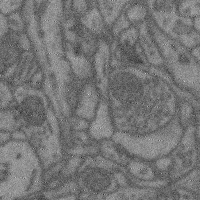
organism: Mouse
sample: Cerebral cortex